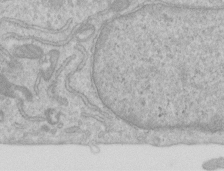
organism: Human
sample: Centriole in RPE cells